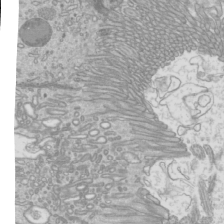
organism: Mouse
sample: Cilia; mouse epididymis